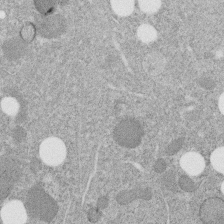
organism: C. elegans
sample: C. elegans embryo early stage